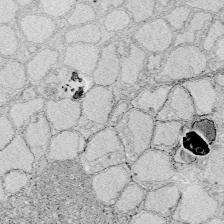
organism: Zebrafish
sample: Whole-Brain